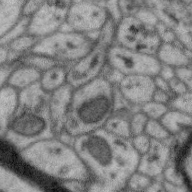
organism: Zebra finch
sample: Brain